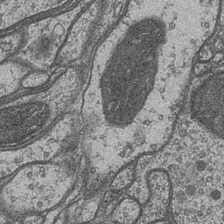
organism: Drosophila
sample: Optic medulla